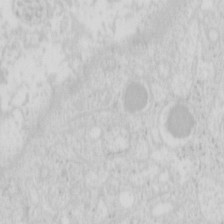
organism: Mouse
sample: Pancreas